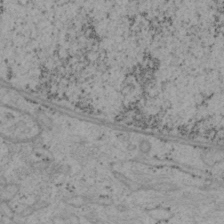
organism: Human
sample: HeLa cells